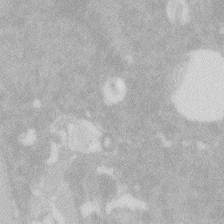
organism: Zebrafish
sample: Macrophage